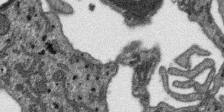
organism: Human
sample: Lung epithelial cells infected with SARS-CoV-2